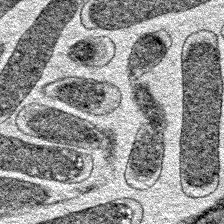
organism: E. coli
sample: E. Coli Bacteria